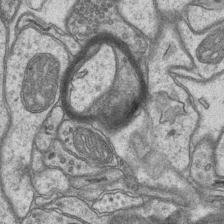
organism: Mouse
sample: CA1 Hippocampus